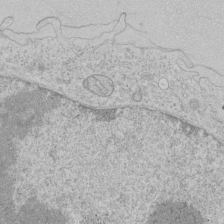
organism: Human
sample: Mitochondria in HCT116 cells